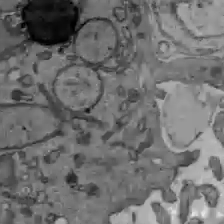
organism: C57BL Mouse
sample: Liver